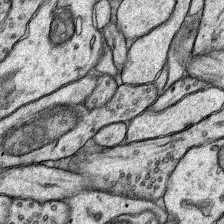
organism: Rat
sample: Hippocampus